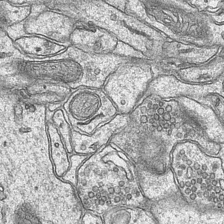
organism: Mouse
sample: CA1 Hippocampus